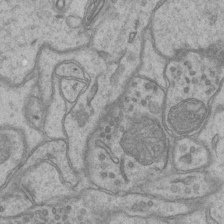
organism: Mouse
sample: CA1 Hippocampus